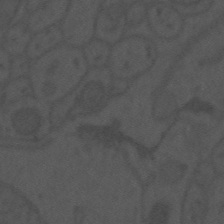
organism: Mouse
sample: Suprachiasmatic nucleus